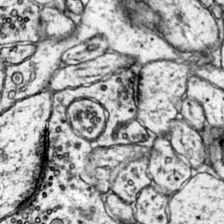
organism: Mouse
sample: Primary visual cortex